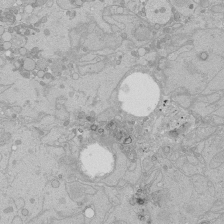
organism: Human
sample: Caco-2 cells